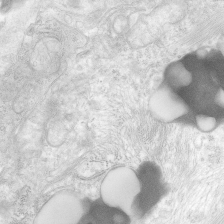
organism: Human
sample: Neocortex